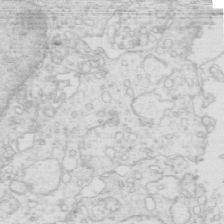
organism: Mouse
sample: Multiciliated cells